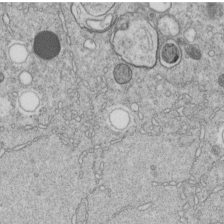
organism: C. elegans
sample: C. elegans embryo early stage